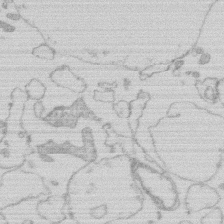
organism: Human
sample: Macrophage cells